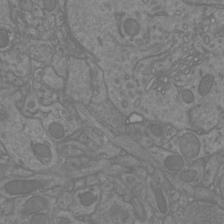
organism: Mouse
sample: Cortical neurons